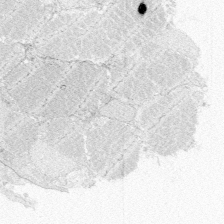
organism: Zebrafish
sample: Whole-Brain